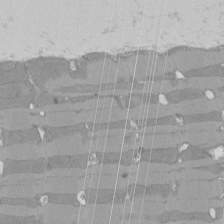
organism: Rat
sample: Left ventricle